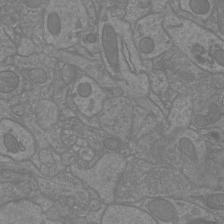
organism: Mouse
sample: Cortical neurons